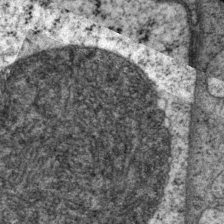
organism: P. pacificus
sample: Pharynx